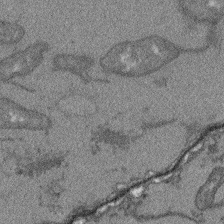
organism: Arabidopsis thaliana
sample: Root tip